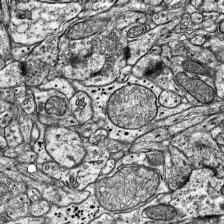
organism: Mouse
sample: Visual Cortex